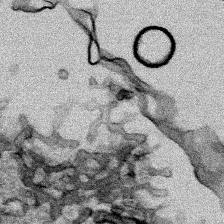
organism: Human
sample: Mitochondria in HCT116 cells